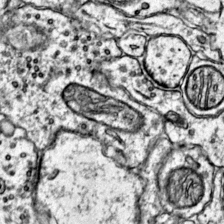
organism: Mouse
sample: Primary visual cortex